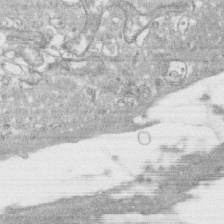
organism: Human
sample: CRL-1474